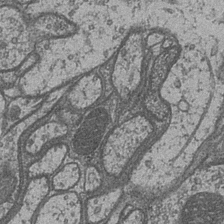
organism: Drosophila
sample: Optic medulla